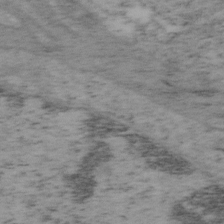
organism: Mouse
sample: OT-I killer T cells with ID8 ovarian cancer cells